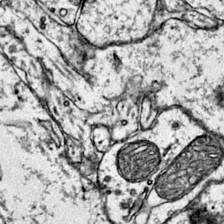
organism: Mouse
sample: Primary visual cortex